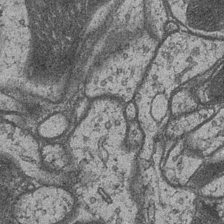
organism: Drosophila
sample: Optic medulla